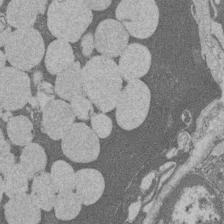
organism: Rat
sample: Salivary granule